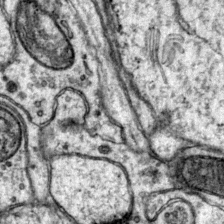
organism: Mouse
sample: Primary visual cortex